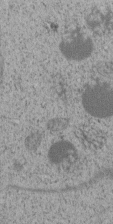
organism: C. elegans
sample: C. elegans embryo early stage